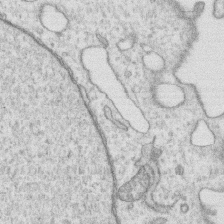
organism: Human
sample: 1205lu cells